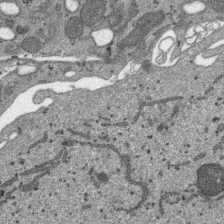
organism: Human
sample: Lung epithelial cells infected with SARS-CoV-2